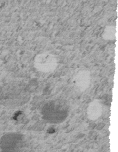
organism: C. elegans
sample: C. elegans embryo early stage